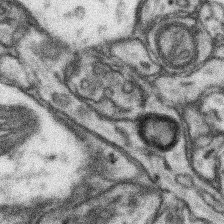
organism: Mouse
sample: Somatosensory cortex neuropil